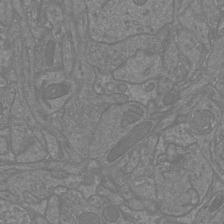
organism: Mouse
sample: Cortical neurons